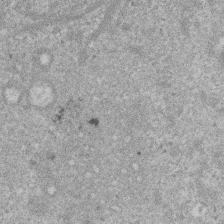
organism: Mouse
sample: Dividing mouse embryo 1 cell stage